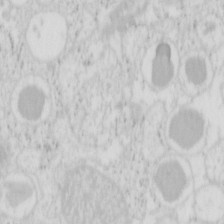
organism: Mouse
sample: Pancreas